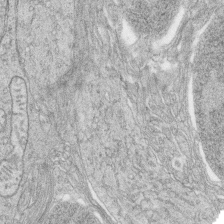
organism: Zebrafish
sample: synaptic ribbons in rod cells and cone cells